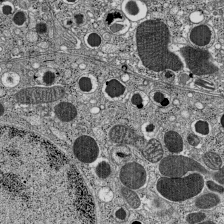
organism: C57BL Mouse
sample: Pancreatic islet